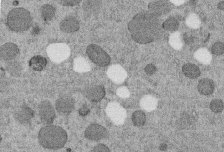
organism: C. elegans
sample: C. elegans embryo early stage